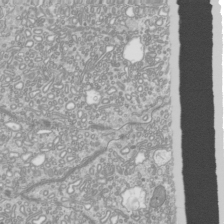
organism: Mouse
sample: Cilia; mouse epididymis